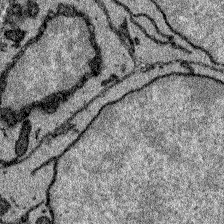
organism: Zebrafish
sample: Larval olfactory bulb